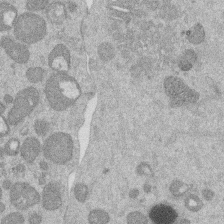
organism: Mouse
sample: Dividing mouse embryo 1 cell stage